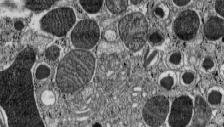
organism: C57BL Mouse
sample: Pancreatic islet